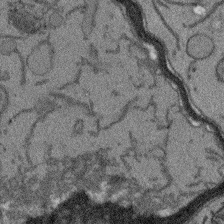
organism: Arabidopsis thaliana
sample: Root tip